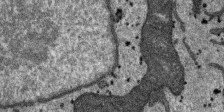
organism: Human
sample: Lung epithelial cells, uninfected (mock) control